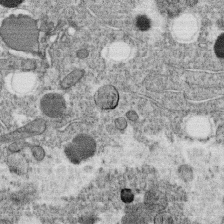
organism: C. elegans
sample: C. elegans oocyte; sperm cells